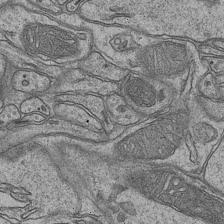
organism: Mouse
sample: CA1 Hippocampus